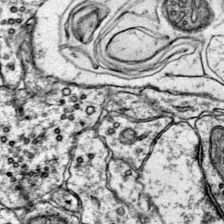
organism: Mouse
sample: Primary visual cortex